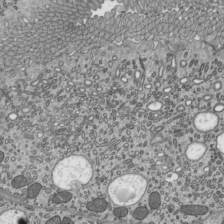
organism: Mouse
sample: Mouse epididymis efferent ductule cilia